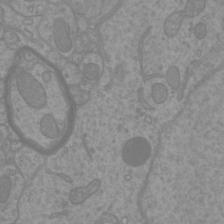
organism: Mouse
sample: Cortical neurons